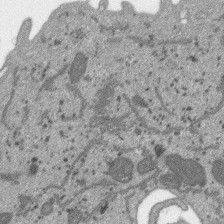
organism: Human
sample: Lung epithelial cells infected with SARS-CoV-2